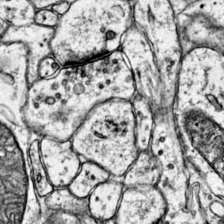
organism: Mouse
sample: Primary visual cortex